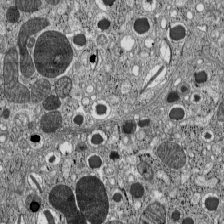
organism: C57BL Mouse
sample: Pancreatic islet